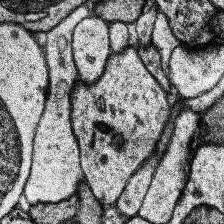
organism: Human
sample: Temporal Lobe